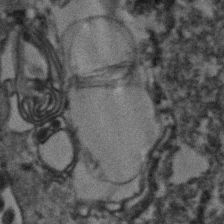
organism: Human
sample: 1205lu cells